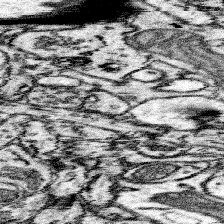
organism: Mouse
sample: Somatosensory cortex neuropil